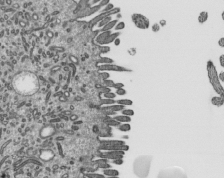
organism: Mouse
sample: Mouse epididymis efferent ductule cilia